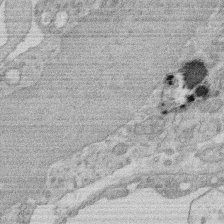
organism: Rat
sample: Salivary granule